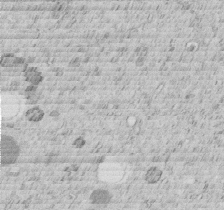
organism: C. elegans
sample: C. elegans embryo early stage